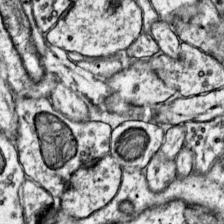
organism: Mouse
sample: Primary visual cortex